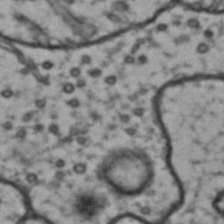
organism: Drosophila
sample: Brain